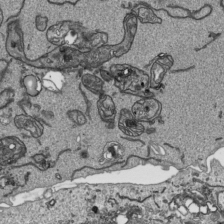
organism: Human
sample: Mitochondria in HCT116 cells